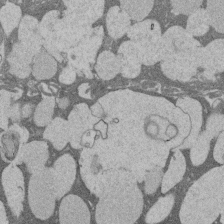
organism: Rat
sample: Salivary granule